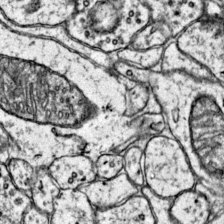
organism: Mouse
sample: Primary visual cortex